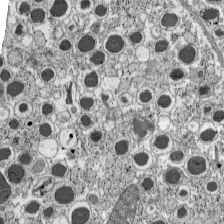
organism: C57BL Mouse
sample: Pancreatic islet